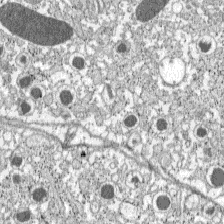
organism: C57BL Mouse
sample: Pancreatic islet